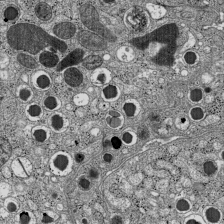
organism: C57BL Mouse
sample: Pancreatic islet